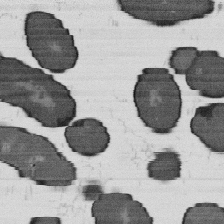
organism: B. subtilis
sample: Bacterial spore